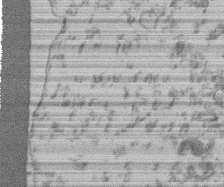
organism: Mouse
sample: T cell stromal cell synapse